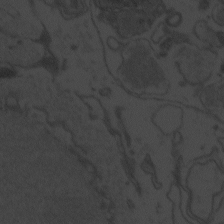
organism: Zebrafish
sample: Macrophage infected with Toxoplasma gondii